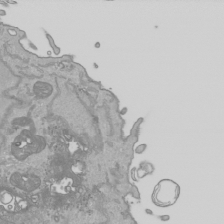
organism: Human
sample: Mitochondria in HCT116 cells